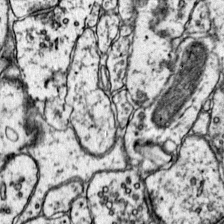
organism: Mouse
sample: Primary visual cortex